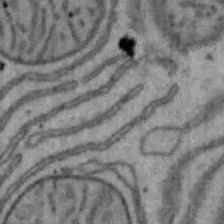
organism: Mouse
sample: Liver